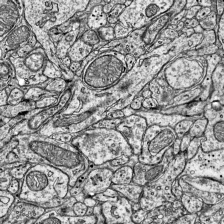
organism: Mouse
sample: Visual Cortex